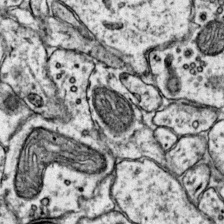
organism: Mouse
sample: Primary visual cortex